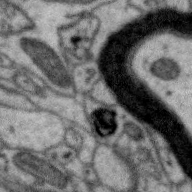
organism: Zebra finch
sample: Brain